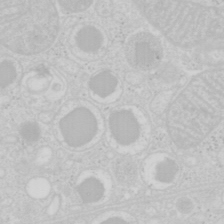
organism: Mouse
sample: Pancreas